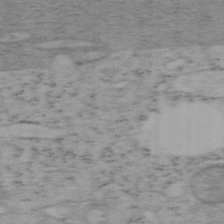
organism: Mouse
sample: OT-I killer T cells with ID8 ovarian cancer cells